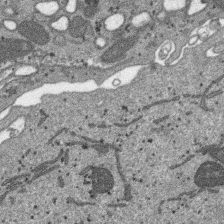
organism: Human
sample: Lung epithelial cells infected with SARS-CoV-2